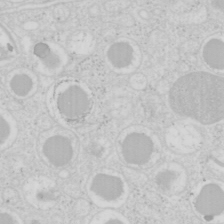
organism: Mouse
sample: Pancreas